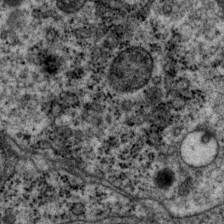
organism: P. pacificus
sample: Pharynx